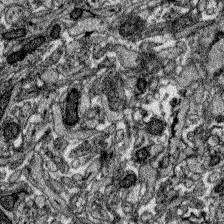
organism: Zebrafish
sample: Larval olfactory bulb